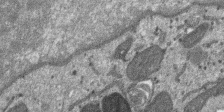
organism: Human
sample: Lung epithelial cells infected with SARS-CoV-2